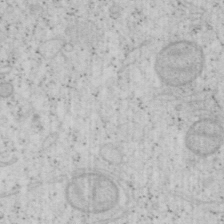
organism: Human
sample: HeLa cells